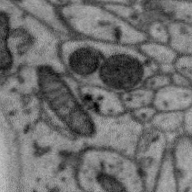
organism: Zebra finch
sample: Brain